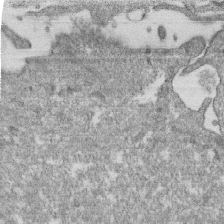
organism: African green monkey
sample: Vero E6 cells infected with SARS-CoV-2